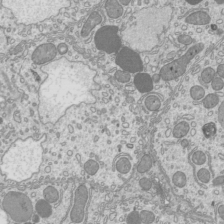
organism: Mouse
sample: Cilia; mouse epididymis